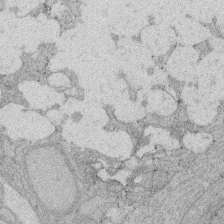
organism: Rat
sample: Salivary granule